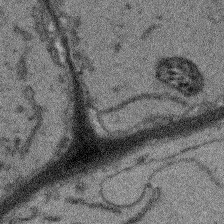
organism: Arabidopsis thaliana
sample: Root tip